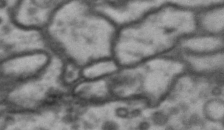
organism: Drosophila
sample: Brain